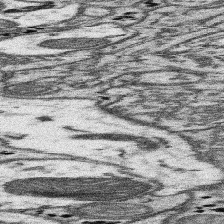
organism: Mouse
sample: Somatosensory cortex neuropil